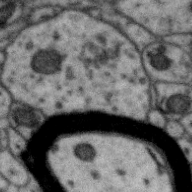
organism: Zebra finch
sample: Brain